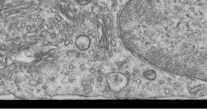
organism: Human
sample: Centriole in RPE cells